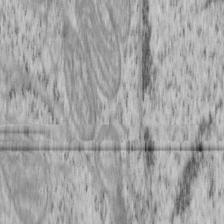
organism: Human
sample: HeLa cells